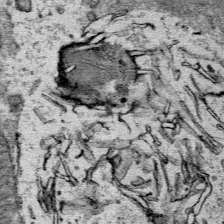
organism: Mouse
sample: Mouse Salivary gland